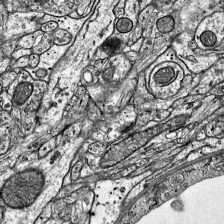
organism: Mouse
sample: Visual Cortex